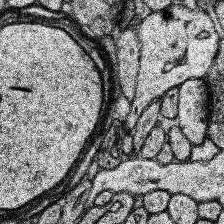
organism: Human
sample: Temporal Lobe